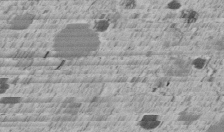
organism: C. elegans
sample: C. elegans embryo early stage